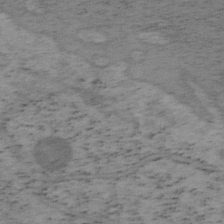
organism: Mouse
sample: OT-I killer T cells with ID8 ovarian cancer cells